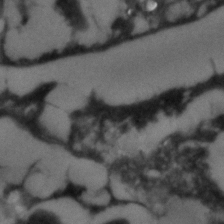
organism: C. elegans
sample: C. elegans embryo